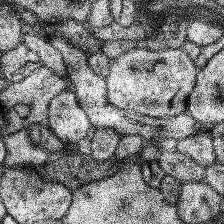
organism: Human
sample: Temporal Lobe